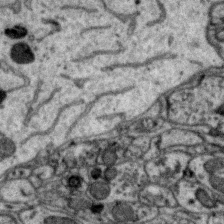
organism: Zebra finch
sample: Brain